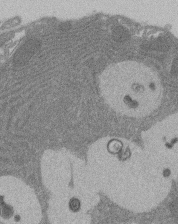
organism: Rat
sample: Salivary granule